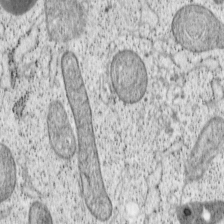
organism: African green monkey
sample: COS-7 cells